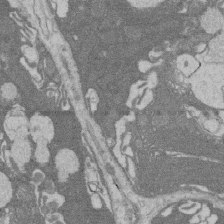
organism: Rat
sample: Salivary granule